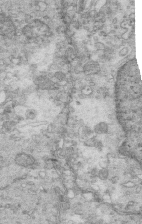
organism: Mouse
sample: Multiciliated cells